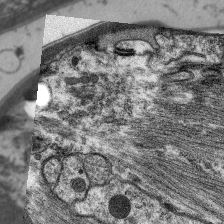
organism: C. elegans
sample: Pharynx